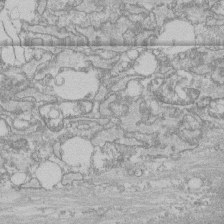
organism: Human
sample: CRL-1474